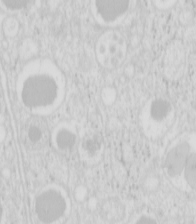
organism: Mouse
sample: Pancreas